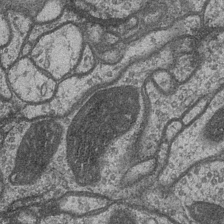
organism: Drosophila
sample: Optic medulla